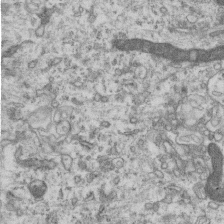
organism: Mouse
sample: Centriole in ependymal cells